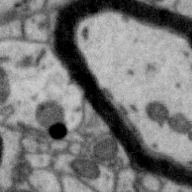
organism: Zebra finch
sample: Brain